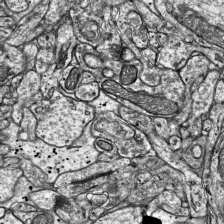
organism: Mouse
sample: Visual Cortex